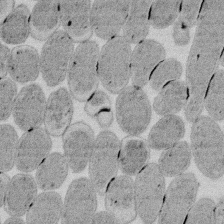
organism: E. coli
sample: Bacterial nucleoid